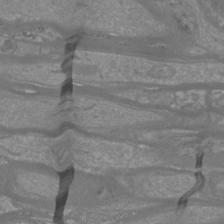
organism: Mouse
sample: Cortical neurons